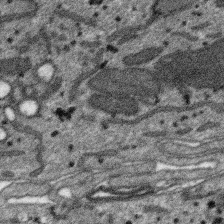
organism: Human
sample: Lung epithelial cells infected with SARS-CoV-2